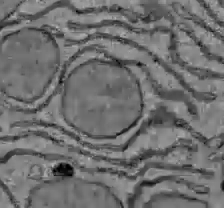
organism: C57BL Mouse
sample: Liver